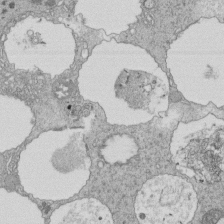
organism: Tetrahymena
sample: Cilia in tetrahymena